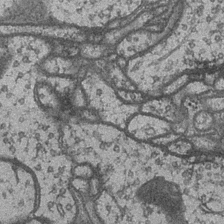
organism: Drosophila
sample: Optic medulla